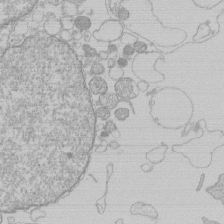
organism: Human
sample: Macrophage cells